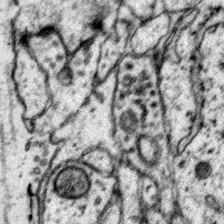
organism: Mouse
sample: Primary visual cortex